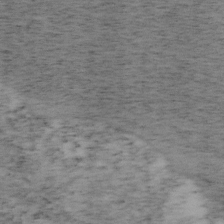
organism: Mouse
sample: OT-I killer T cells with ID8 ovarian cancer cells